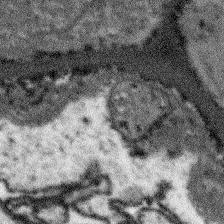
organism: Arabidopsis thaliana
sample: Root tip